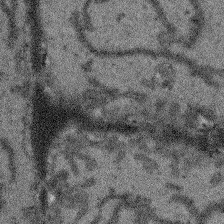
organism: Arabidopsis thaliana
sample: Root tip